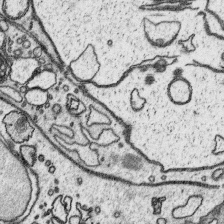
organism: Platynereis dumerilii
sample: Parapodia